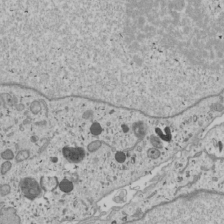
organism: Human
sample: Mitochondria in U2OS cells